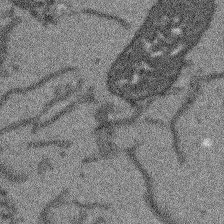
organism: Arabidopsis thaliana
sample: Root tip